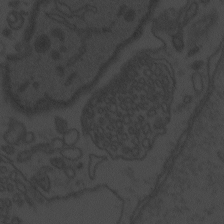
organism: Zebrafish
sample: Macrophage infected with Toxoplasma gondii